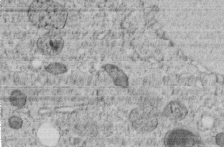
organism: C. elegans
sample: C. elegans embryo early stage